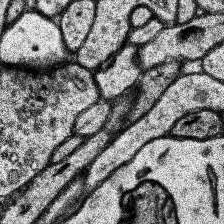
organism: Human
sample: Temporal Lobe